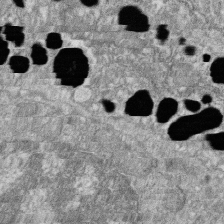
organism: Zebrafish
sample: Cilia; retinal pigment epithelium